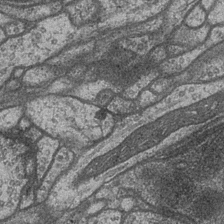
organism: Drosophila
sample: Optic medulla